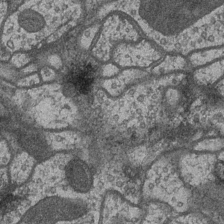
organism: Drosophila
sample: Optic medulla